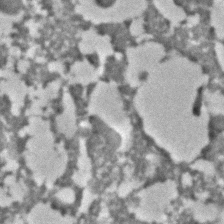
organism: C. elegans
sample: C. elegans embryo